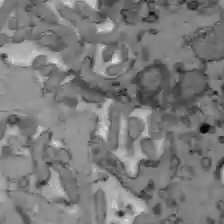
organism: C57BL Mouse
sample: Liver